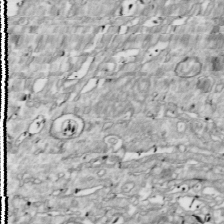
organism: Drosophila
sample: Cell division; meiosis; drosophila spermatocytes